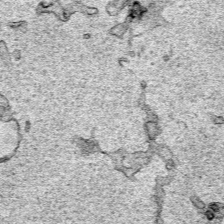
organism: Human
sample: Mitochondria in HCT116 cells